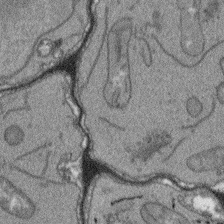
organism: Arabidopsis thaliana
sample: Root tip